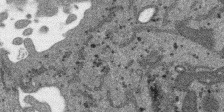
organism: Human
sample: Lung epithelial cells infected with SARS-CoV-2